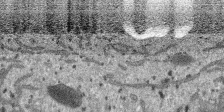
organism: Human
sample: Lung epithelial cells infected with SARS-CoV-2